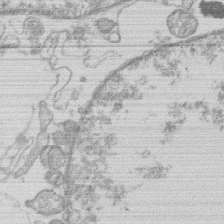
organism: Human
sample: Macrophage cells